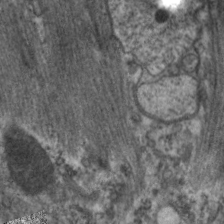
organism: C. elegans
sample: Pharynx